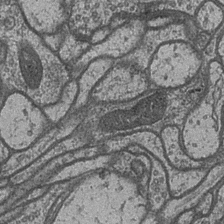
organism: Drosophila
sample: Optic medulla